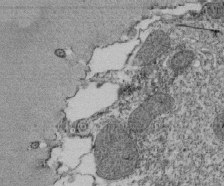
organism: Tetrahymena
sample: Cilia in tetrahymena